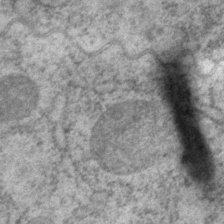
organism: P. pacificus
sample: Pharynx